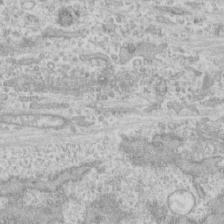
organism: Human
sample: CRL-1474